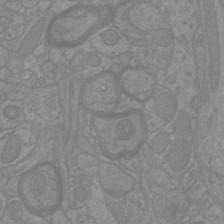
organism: Mouse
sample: Cortical neurons